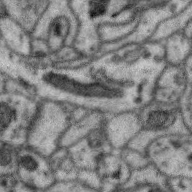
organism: Zebra finch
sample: Brain